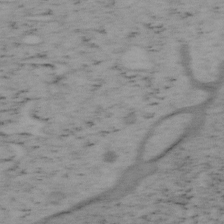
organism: Mouse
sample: OT-I killer T cells with ID8 ovarian cancer cells